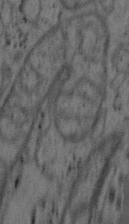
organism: Human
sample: HeLa cells